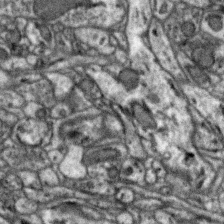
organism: Zebra finch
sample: Brain